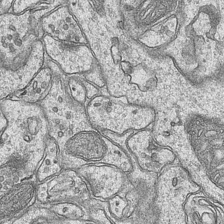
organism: Mouse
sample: CA1 Hippocampus